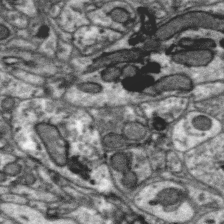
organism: Zebra finch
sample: Brain